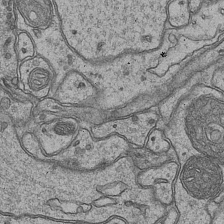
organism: Mouse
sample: CA1 Hippocampus